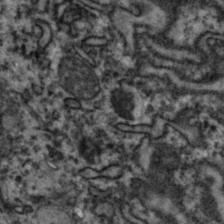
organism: Zebrafish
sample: Zebrafish embryo